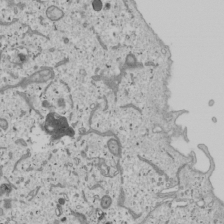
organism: Human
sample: Mitochondria in U2OS cells